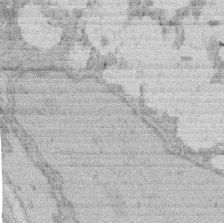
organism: Rat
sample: Salivary granule